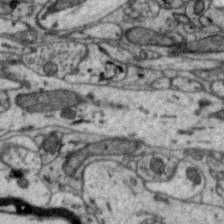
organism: Zebra finch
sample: Brain